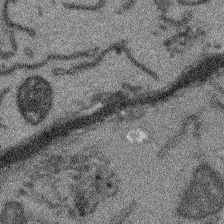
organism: Arabidopsis thaliana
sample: Root tip